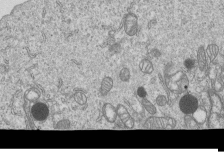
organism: Human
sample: MDA-MB-231 cells